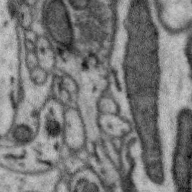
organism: Zebra finch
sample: Brain